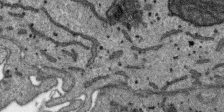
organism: Human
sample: Lung epithelial cells, uninfected (mock) control